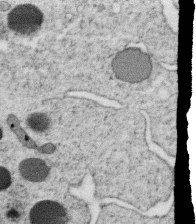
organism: C. elegans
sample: C. elegans oocyte; sperm cells